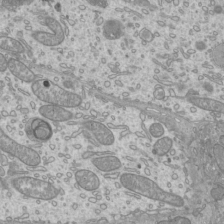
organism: Mouse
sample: Cilia; mouse epididymis